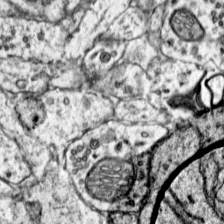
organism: Mouse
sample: Primary visual cortex